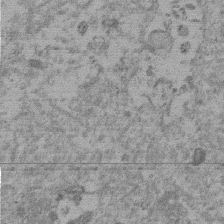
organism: Mouse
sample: Dividing mouse embryo 1 cell stage